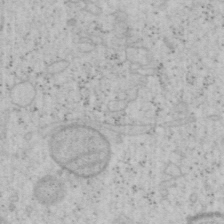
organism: Human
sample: HeLa cells